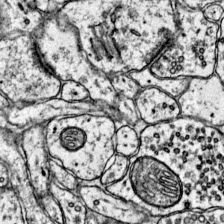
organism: Mouse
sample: Primary visual cortex